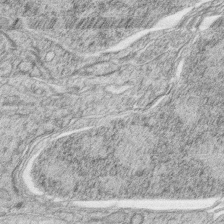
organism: Zebrafish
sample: synaptic ribbons in rod cells and cone cells